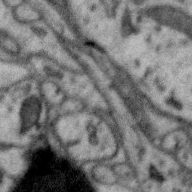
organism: Zebra finch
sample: Brain